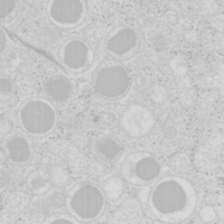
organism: Mouse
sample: Pancreas